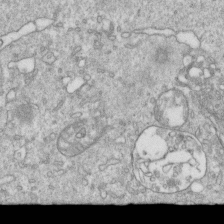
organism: Mouse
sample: Activated OT-1 CD8+ T cells